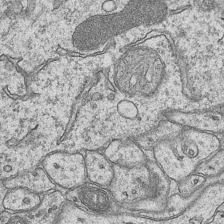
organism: Mouse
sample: CA1 Hippocampus